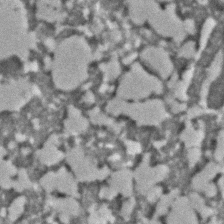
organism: C. elegans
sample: C. elegans embryo